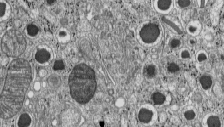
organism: C57BL Mouse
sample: Pancreatic islet